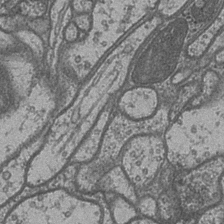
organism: Drosophila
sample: Optic medulla